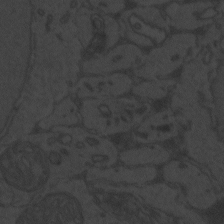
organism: Zebrafish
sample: Macrophage infected with Toxoplasma gondii